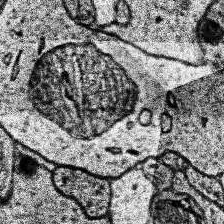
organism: Human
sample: Temporal Lobe